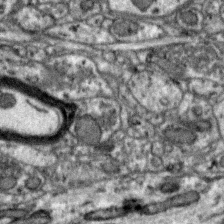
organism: Zebra finch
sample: Brain